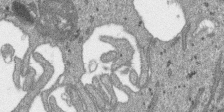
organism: Human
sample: Lung epithelial cells infected with SARS-CoV-2